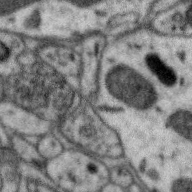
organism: Zebra finch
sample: Brain